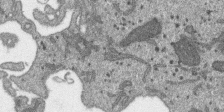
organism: Human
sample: Lung epithelial cells infected with SARS-CoV-2